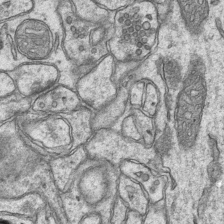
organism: Mouse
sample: CA1 Hippocampus